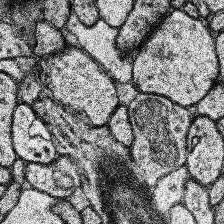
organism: Human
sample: Temporal Lobe